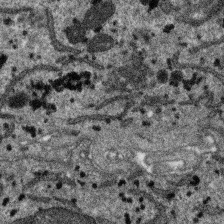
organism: Human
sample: Lung epithelial cells infected with SARS-CoV-2